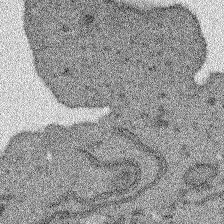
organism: Human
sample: HeLa cells